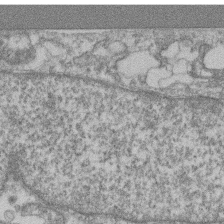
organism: Mouse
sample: T cell stromal cell synapse